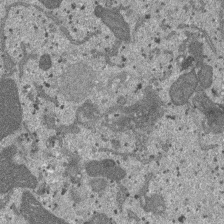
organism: Human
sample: Lung epithelial cells infected with SARS-CoV-2